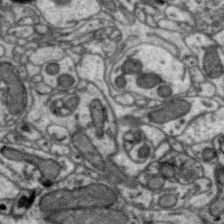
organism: Zebra finch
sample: Brain